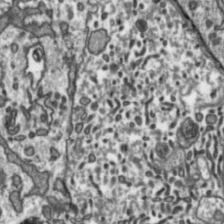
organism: Toxoplasma gondii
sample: Parasites in a vacuole inside a host cell